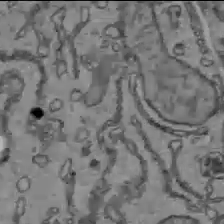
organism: C57BL Mouse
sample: Liver